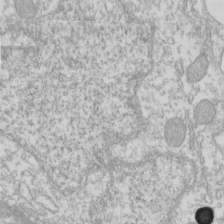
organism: Xenopus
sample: Cilia; centrioles in frog embryo cells